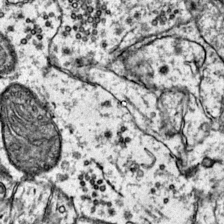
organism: Mouse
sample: Primary visual cortex